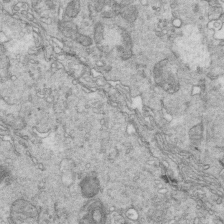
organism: Mouse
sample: Multiciliated cells